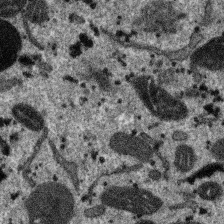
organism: Human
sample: Lung epithelial cells infected with SARS-CoV-2